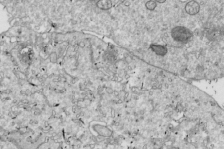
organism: Drosophila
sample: Cell division; meiosis; drosophila spermatocytes